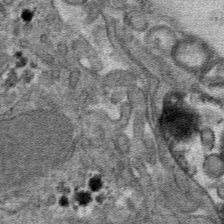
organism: Mouse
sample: Mouse hepatocytes